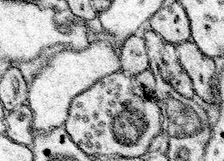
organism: Mouse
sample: Somatosensory cortex neuropil